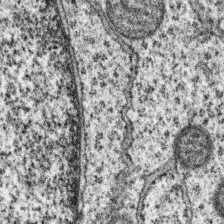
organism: Human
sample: HeLa cells